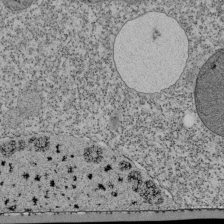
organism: Tetrahymena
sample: Cilia in tetrahymena